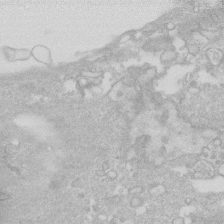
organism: Human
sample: Fibroblast cells